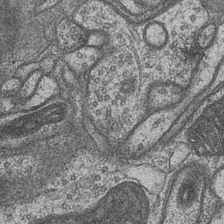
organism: Drosophila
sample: Optic medulla